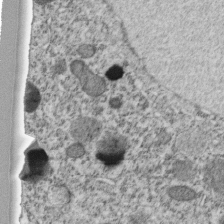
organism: C. elegans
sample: C. elegans embryo early stage